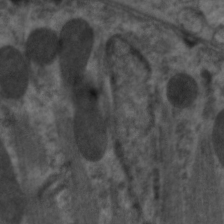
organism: C. elegans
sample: Pharynx